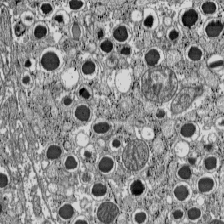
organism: C57BL Mouse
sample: Pancreatic islet